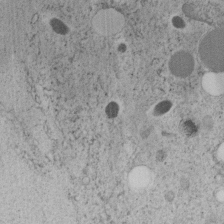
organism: C. elegans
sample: C. elegans embryo early stage